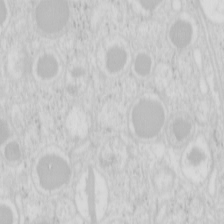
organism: Mouse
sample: Pancreas